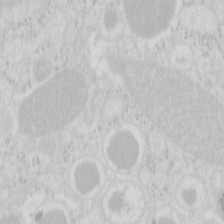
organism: Mouse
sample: Pancreas